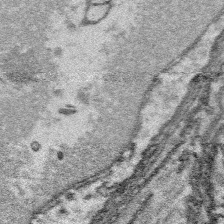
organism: Platynereis dumerilii